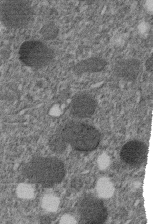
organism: C. elegans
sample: C. elegans embryo early stage